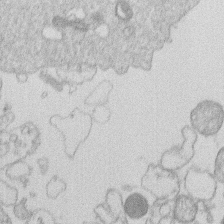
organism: Human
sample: Macrophage cells